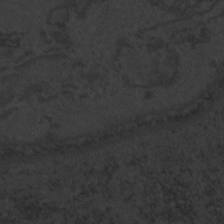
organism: Zebrafish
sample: Macrophage infected with Toxoplasma gondii